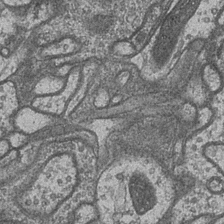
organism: Drosophila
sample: Optic medulla